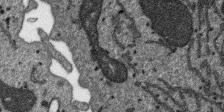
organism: Human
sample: Lung epithelial cells infected with SARS-CoV-2